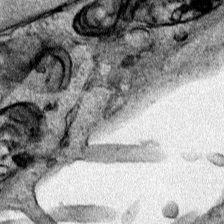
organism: Human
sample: Mitochondria in HCT116 cells